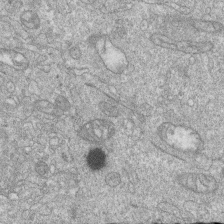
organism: Human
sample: HeLa cell HIV synapse